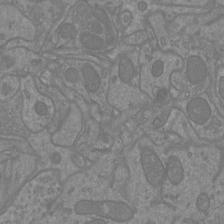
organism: Mouse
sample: Cortical neurons